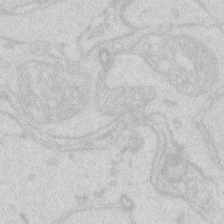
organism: Zebrafish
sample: Macrophage